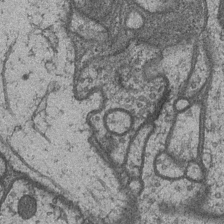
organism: Drosophila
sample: Optic medulla